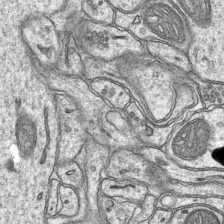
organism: Mouse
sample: CA1 Hippocampus